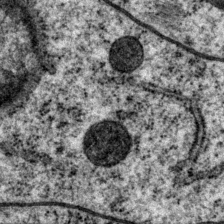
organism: P. pacificus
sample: Pharynx